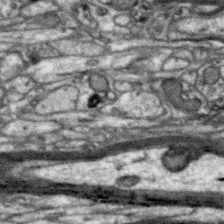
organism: Zebra finch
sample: Brain